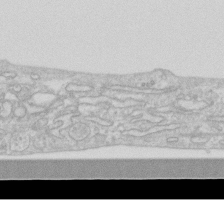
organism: Human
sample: Fibroblast cells